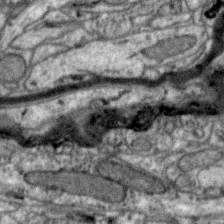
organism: Zebra finch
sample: Brain